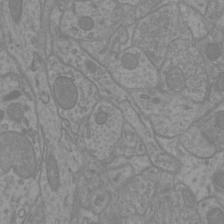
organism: Mouse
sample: Cortical neurons